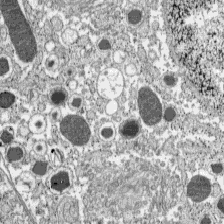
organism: C57BL Mouse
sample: Pancreatic islet